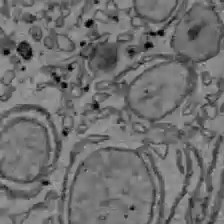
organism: C57BL Mouse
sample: Liver